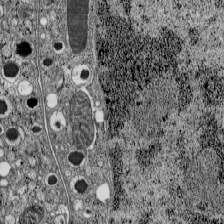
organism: C57BL Mouse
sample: Pancreatic islet